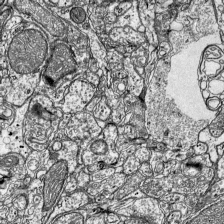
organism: Mouse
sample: Visual Cortex